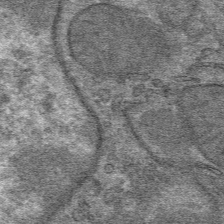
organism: Mouse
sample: Mouse hepatocytes